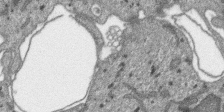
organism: Human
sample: Lung epithelial cells infected with SARS-CoV-2